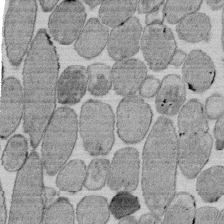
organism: E. coli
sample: Bacterial nucleoid